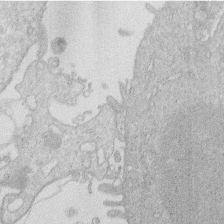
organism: Human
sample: Macrophage cells